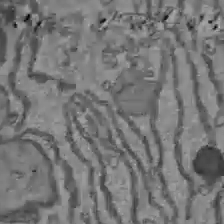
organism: C57BL Mouse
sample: Liver